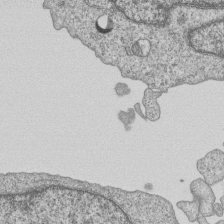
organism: Human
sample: MDA-MB-231 cells